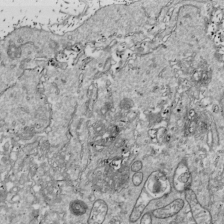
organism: Drosophila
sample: Cell division; meiosis; drosophila spermatocytes